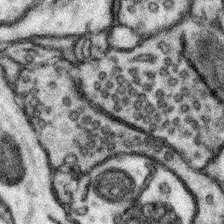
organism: Mouse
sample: Somatosensory cortex neuropil